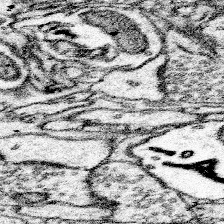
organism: Mouse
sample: Somatosensory cortex neuropil